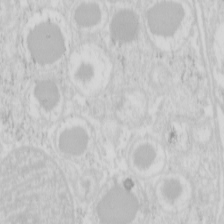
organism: Mouse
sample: Pancreas